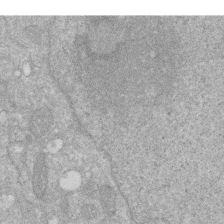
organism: Human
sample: HIV infected U937 cells